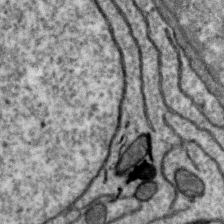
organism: Zebra finch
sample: Brain